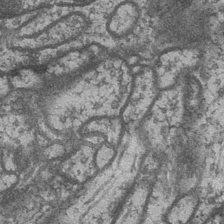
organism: Drosophila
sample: Optic medulla